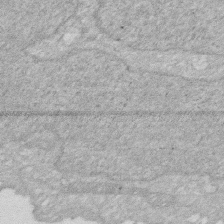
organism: Human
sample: HIV infected U937 cells